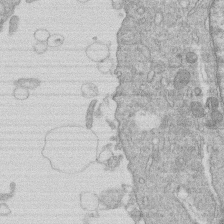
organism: Human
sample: Macrophage cells